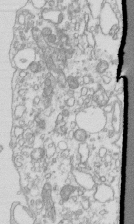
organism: Mouse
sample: Macrophages